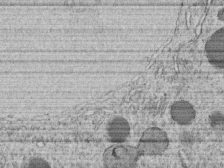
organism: C. elegans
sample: C. elegans embryo early stage